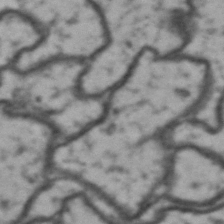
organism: Drosophila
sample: Brain